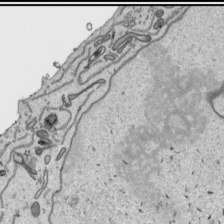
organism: Human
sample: Mitochondria in HCT116 cells